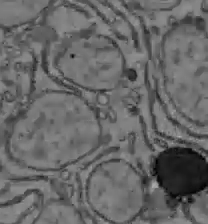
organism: C57BL Mouse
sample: Liver